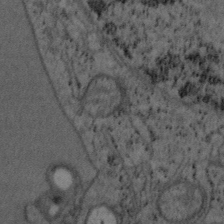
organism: Human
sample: HeLa cells